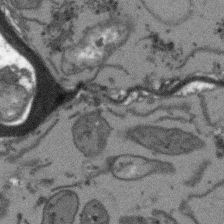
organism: Arabidopsis thaliana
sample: Root tip